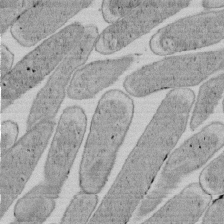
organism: E. coli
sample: Bacterial nucleoid